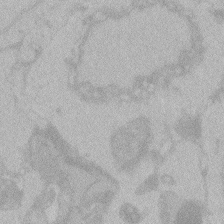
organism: Zebrafish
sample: Macrophage infected with Toxoplasma gondii